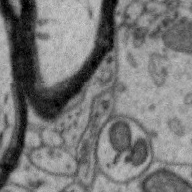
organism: Zebra finch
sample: Brain